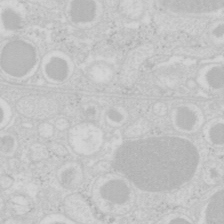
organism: Mouse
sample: Pancreas